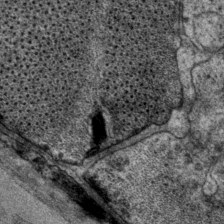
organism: P. pacificus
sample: Pharynx